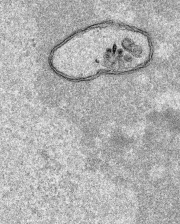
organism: Human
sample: Mitochondria in HCT116 cells